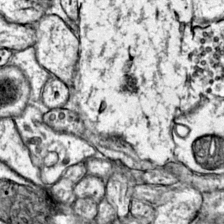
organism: Mouse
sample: Primary visual cortex